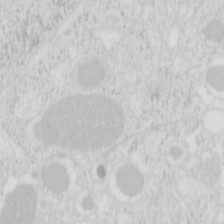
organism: Mouse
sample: Pancreas